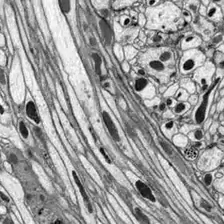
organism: Drosophila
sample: Optic lobe